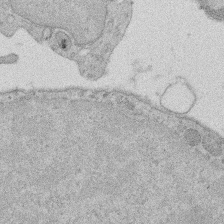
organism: Rat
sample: Salivary granule